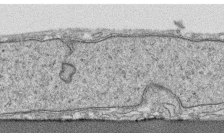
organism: Human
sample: CRL-1474